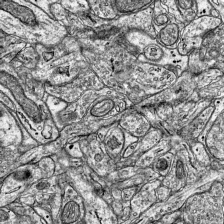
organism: Mouse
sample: Visual Cortex